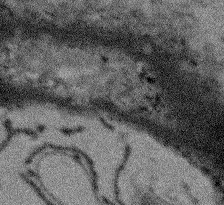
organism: Arabidopsis thaliana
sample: Root tip